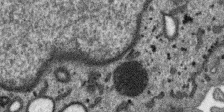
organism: Human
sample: Lung epithelial cells infected with SARS-CoV-2